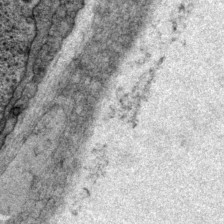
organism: P. pacificus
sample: Pharynx